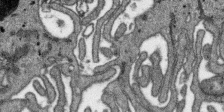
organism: Human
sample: Lung epithelial cells, uninfected (mock) control